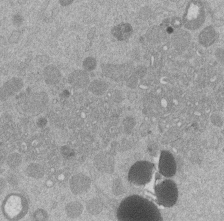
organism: Mouse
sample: Dividing mouse embryo 1 cell stage